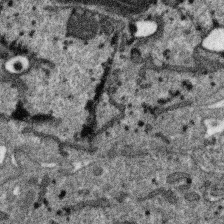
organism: Human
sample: Lung epithelial cells infected with SARS-CoV-2